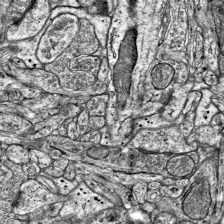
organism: Mouse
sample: Visual Cortex